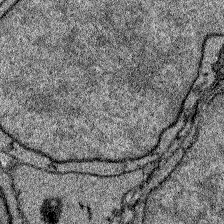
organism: Zebrafish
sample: Larval olfactory bulb